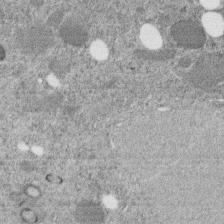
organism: C. elegans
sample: C. elegans embryo early stage